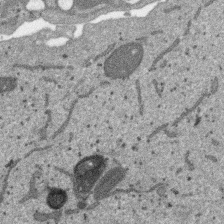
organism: Human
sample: Lung epithelial cells infected with SARS-CoV-2